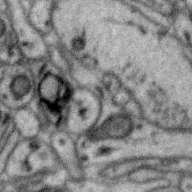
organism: Zebra finch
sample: Brain